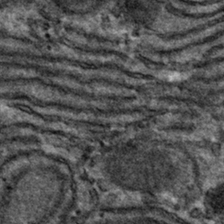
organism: Mouse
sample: Mouse hepatocytes